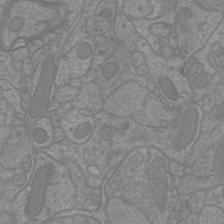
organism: Mouse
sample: Cortical neurons